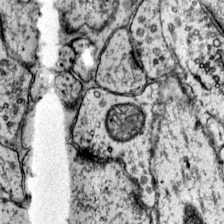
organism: Mouse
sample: Primary visual cortex